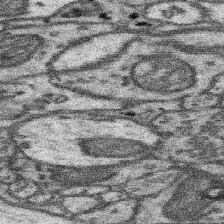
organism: Mouse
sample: Somatosensory cortex neuropil